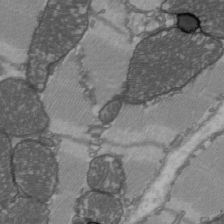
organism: C57BL Mouse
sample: Heart